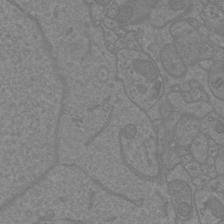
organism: Mouse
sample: Cortical neurons